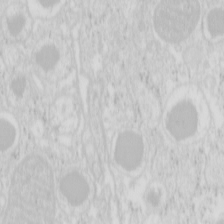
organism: Mouse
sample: Pancreas